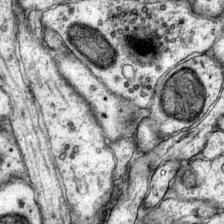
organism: Mouse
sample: Primary visual cortex